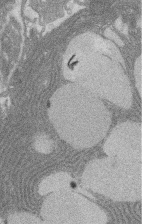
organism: Rat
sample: Salivary granule